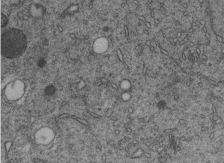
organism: C. elegans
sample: C. elegans embryo early stage